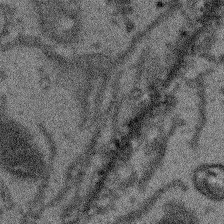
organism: Arabidopsis thaliana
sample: Root tip